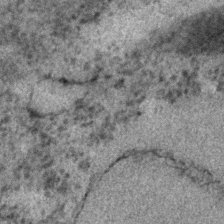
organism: C. elegans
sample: C. elegans embryo